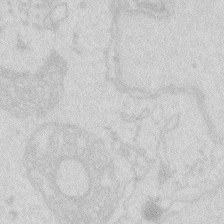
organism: Zebrafish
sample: Macrophage